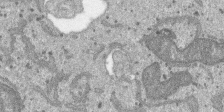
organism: Human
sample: Lung epithelial cells infected with SARS-CoV-2